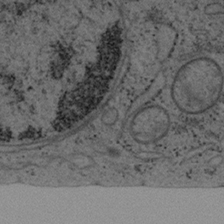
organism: Human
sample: HeLa cells